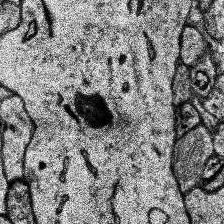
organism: Human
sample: Temporal Lobe